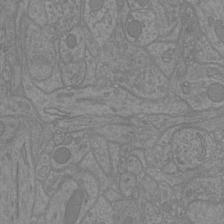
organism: Mouse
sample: Cortical neurons